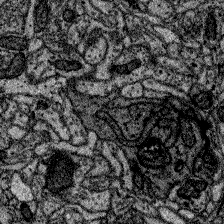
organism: Zebrafish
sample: Larval olfactory bulb